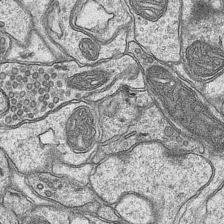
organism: Mouse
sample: CA1 Hippocampus